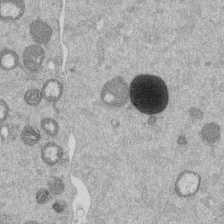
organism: Mouse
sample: Dividing mouse embryo 1 cell stage